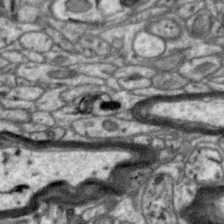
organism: Zebra finch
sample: Brain